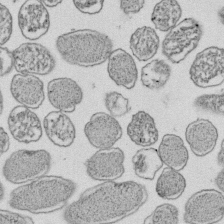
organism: E. coli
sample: Bacterial nucleoid